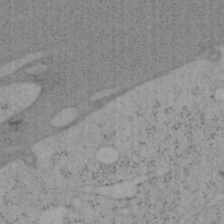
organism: Mouse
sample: OT-I killer T cells with ID8 ovarian cancer cells